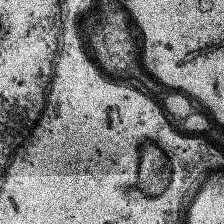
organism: Human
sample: Temporal Lobe